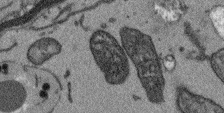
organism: Arabidopsis thaliana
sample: Root tip